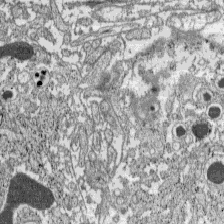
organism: C57BL Mouse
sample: Pancreatic islet